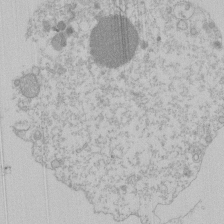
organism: Mouse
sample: Activated Pmel transgenic CD8+ T Cells